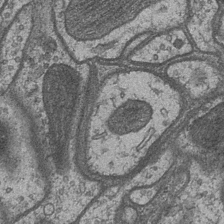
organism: Drosophila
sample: Optic medulla